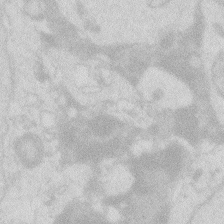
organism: Zebrafish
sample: Macrophage